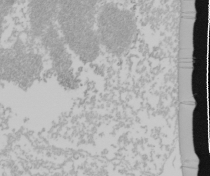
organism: Mouse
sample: Cancer cell death in ED-1 cells